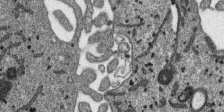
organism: Human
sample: Lung epithelial cells infected with SARS-CoV-2